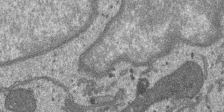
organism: Human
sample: Lung epithelial cells infected with SARS-CoV-2